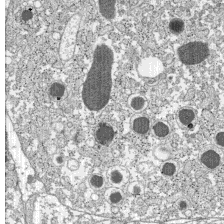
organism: C57BL Mouse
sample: Pancreatic islet